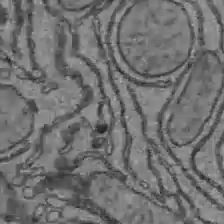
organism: C57BL Mouse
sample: Liver